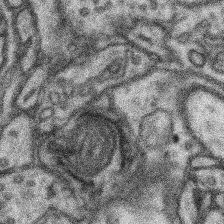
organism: Mouse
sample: Somatosensory cortex neuropil